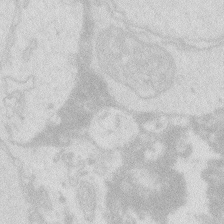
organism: Zebrafish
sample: Macrophage